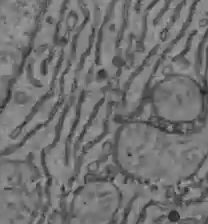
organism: C57BL Mouse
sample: Liver